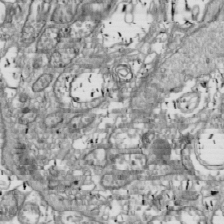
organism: Drosophila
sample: Cell division; meiosis; drosophila spermatocytes